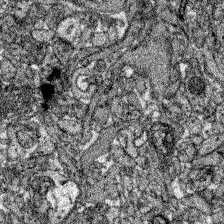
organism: Zebrafish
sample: Larval olfactory bulb